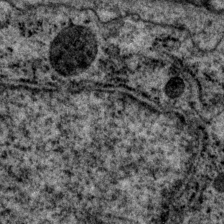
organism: P. pacificus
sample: Pharynx